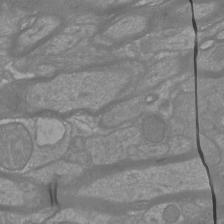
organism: Mouse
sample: Cortical neurons